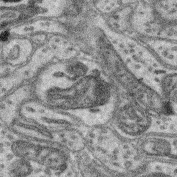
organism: Mouse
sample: Retina